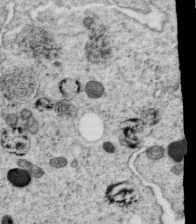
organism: C. elegans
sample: C. elegans oocyte; sperm cells